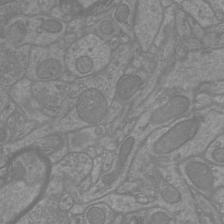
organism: Mouse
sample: Cortical neurons